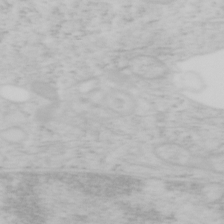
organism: Mouse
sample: OT-I killer T cells with ID8 ovarian cancer cells